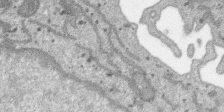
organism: Human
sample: Lung epithelial cells infected with SARS-CoV-2